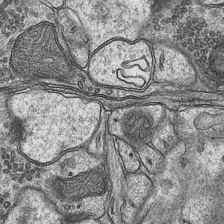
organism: Mouse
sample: CA1 Hippocampus